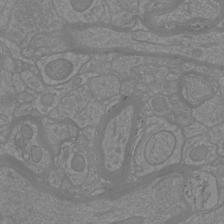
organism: Mouse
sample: Cortical neurons